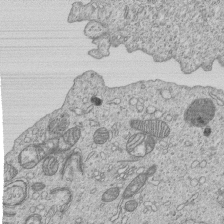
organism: Human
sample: MDA-MB-231 cells